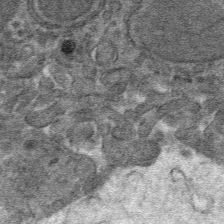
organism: Mouse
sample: Mouse hepatocytes